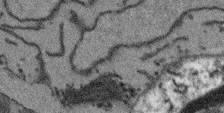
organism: Arabidopsis thaliana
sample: Root tip